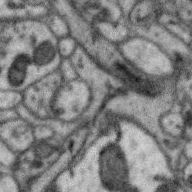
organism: Zebra finch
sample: Brain